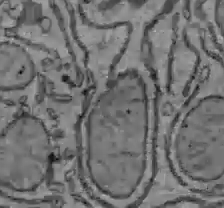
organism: C57BL Mouse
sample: Liver